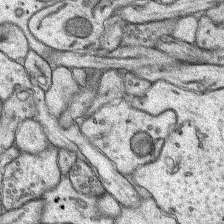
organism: Rat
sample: Hippocampus